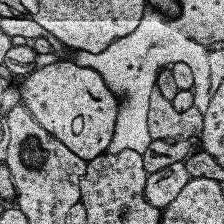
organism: Human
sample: Temporal Lobe